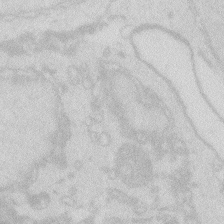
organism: Zebrafish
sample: Macrophage